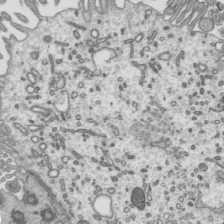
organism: Mouse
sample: Mouse epididymis efferent ductule cilia